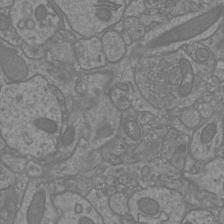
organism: Mouse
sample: Cortical neurons